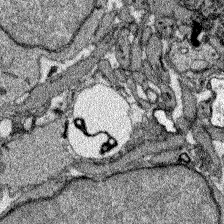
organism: Zebrafish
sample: Larval olfactory bulb